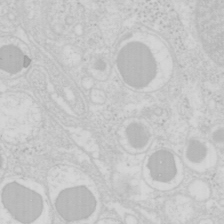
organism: Mouse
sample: Pancreas